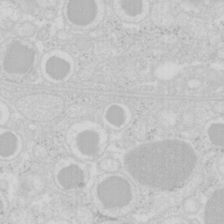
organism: Mouse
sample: Pancreas